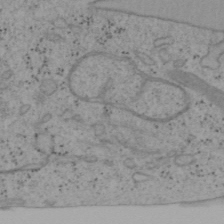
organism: Human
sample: HeLa cells